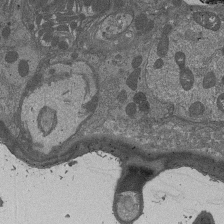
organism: Drosophila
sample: Antenna